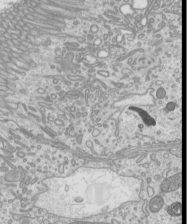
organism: Mouse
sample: Cilia; mouse epididymis